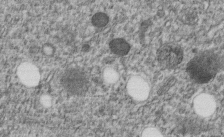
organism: C. elegans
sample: C. elegans embryo early stage